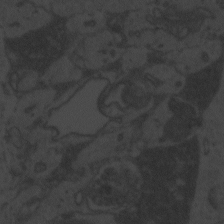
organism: Zebrafish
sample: Macrophage infected with Toxoplasma gondii